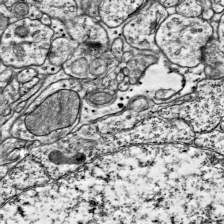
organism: Mouse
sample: Visual Cortex